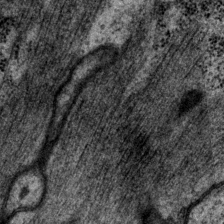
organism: P. pacificus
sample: Pharynx